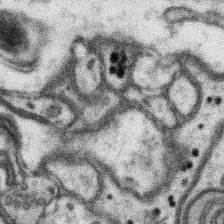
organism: Mouse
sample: Somatosensory cortex neuropil